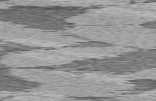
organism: C57BL Mouse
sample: Heart